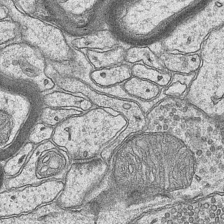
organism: Mouse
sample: CA1 Hippocampus